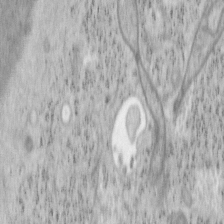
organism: Human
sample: HeLa cells